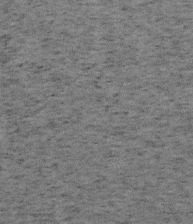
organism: Mouse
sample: OT-I killer T cells with ID8 ovarian cancer cells